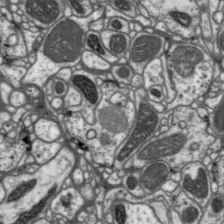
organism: Drosophila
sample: Protocerebral bridge